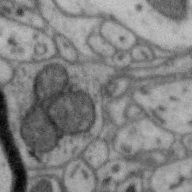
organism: Zebra finch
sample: Brain